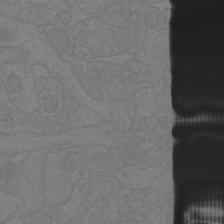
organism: Mouse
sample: Cortical neurons